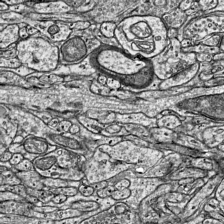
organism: Mouse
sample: Visual Cortex